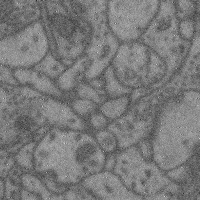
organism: Mouse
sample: Cerebral cortex